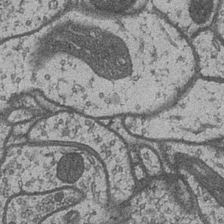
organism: Drosophila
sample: Optic medulla